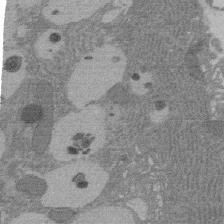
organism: Rat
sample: Salivary granule